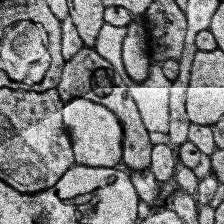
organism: Human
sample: Temporal Lobe